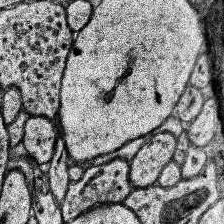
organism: Human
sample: Temporal Lobe